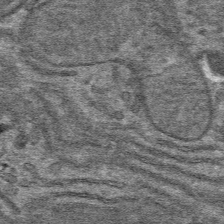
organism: Mouse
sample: Mouse hepatocytes